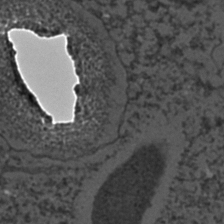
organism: C. elegans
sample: C. elegans embryo